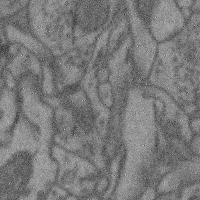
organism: Mouse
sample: Cerebral cortex